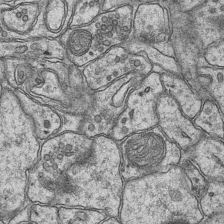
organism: Mouse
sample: CA1 Hippocampus